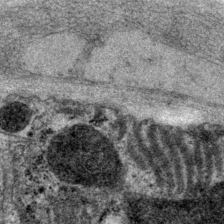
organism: P. pacificus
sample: Pharynx